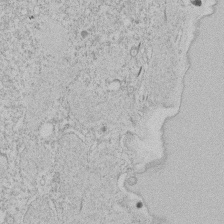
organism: Tetrahymena